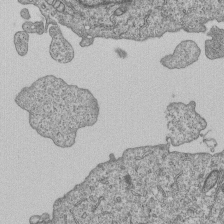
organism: Human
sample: MDA-MB-231 cells